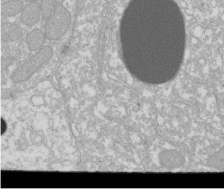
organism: Xenopus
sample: Cilia; centrioles in frog embryo cells